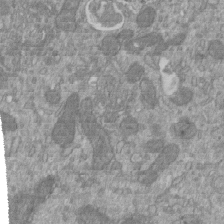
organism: Mouse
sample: ED-1 cell nuclei; centrioles